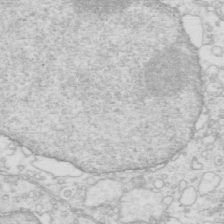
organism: Mouse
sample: Multiciliated cells